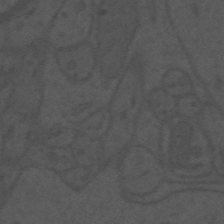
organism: Mouse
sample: Suprachiasmatic nucleus